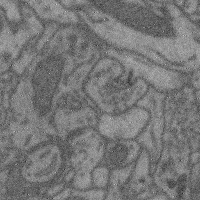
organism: Mouse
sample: Cerebral cortex